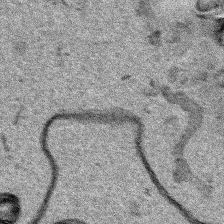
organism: Human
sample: Mitochondria in HCT116 cells